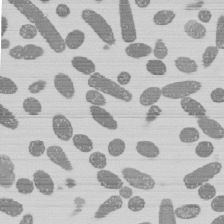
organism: E. coli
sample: Bacterial nucleoid